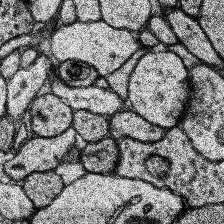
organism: Human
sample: Temporal Lobe